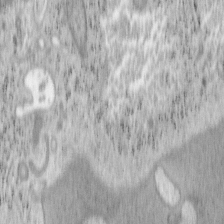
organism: Human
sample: HeLa cells